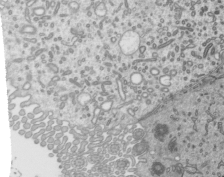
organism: Mouse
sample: Mouse epididymis efferent ductule cilia